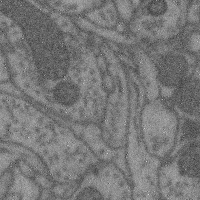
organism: Mouse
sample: Cerebral cortex